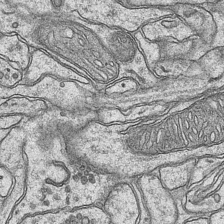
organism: Mouse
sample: CA1 Hippocampus